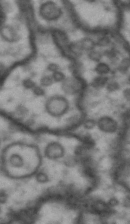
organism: Drosophila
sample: Brain